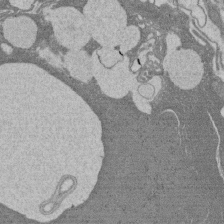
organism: Rat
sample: Salivary granule